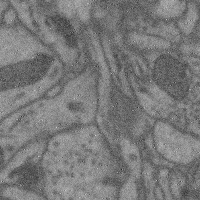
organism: Mouse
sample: Cerebral cortex